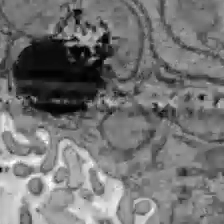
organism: C57BL Mouse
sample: Liver